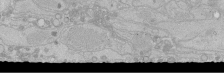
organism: Human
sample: Caco-2 cells